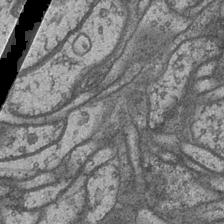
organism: Drosophila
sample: Optic medulla